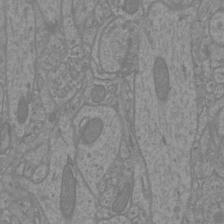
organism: Mouse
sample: Cortical neurons